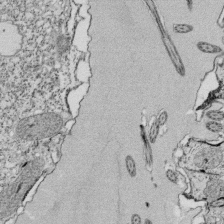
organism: Tetrahymena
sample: Cilia in tetrahymena